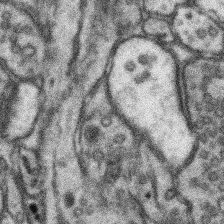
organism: Mouse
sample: Somatosensory cortex neuropil